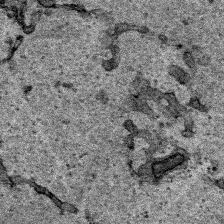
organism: Human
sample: Mitochondria in HCT116 cells